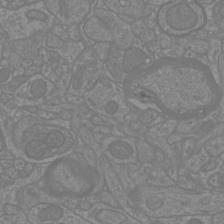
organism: Mouse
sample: Cortical neurons